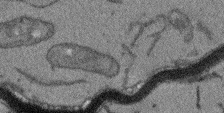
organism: Arabidopsis thaliana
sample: Root tip